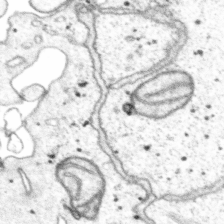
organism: Human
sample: HeLa cells